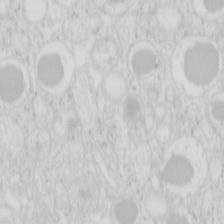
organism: Mouse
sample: Pancreas